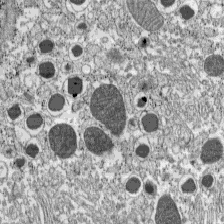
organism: C57BL Mouse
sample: Pancreatic islet